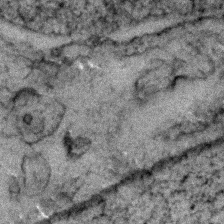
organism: Zebrafish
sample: Zebrafish embryo